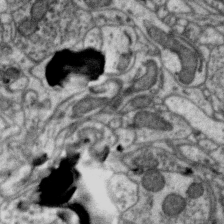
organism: Zebra finch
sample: Brain